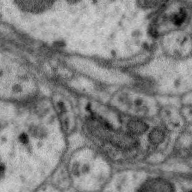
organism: Zebra finch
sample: Brain